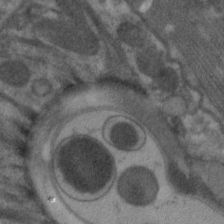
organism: C. elegans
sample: Pharynx